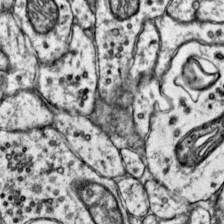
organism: Mouse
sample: Primary visual cortex